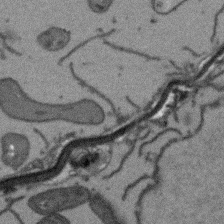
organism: Arabidopsis thaliana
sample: Root tip